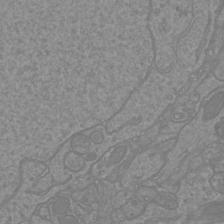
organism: Mouse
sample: Cortical neurons